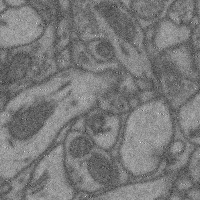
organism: Mouse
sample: Cerebral cortex